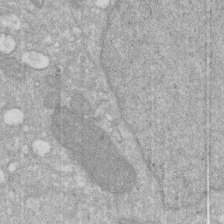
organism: Human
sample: HIV infected U937 cells